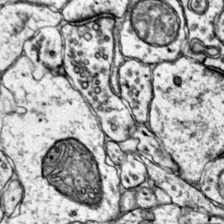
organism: Mouse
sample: Primary visual cortex